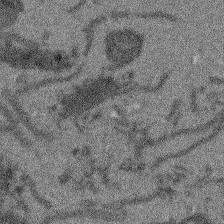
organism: Arabidopsis thaliana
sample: Root tip